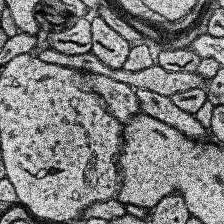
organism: Human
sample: Temporal Lobe